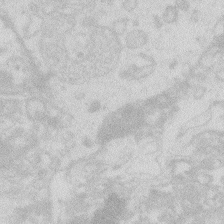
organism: Zebrafish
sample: Macrophage